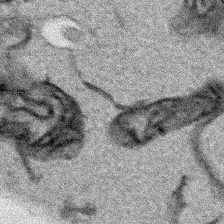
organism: Human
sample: Mitochondria in HCT116 cells